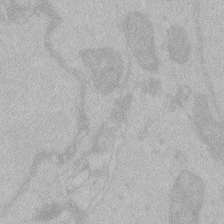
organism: Zebrafish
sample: Macrophage infected with Toxoplasma gondii